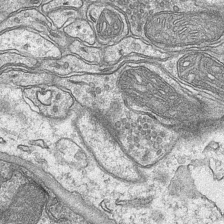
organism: Mouse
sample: CA1 Hippocampus